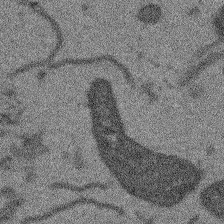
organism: Arabidopsis thaliana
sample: Root tip